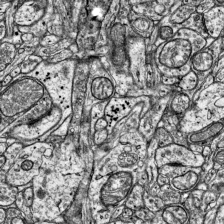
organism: Mouse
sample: Visual Cortex